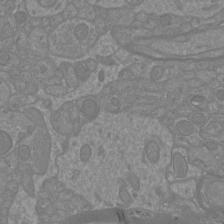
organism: Mouse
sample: Cortical neurons